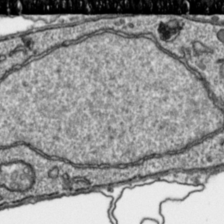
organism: Toxoplasma gondii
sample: Parasites in a vacuole inside a host cell